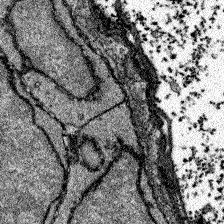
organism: Zebrafish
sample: Larval olfactory bulb